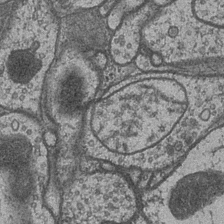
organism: Drosophila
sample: Optic medulla